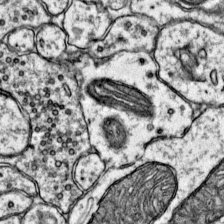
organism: Mouse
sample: Primary visual cortex